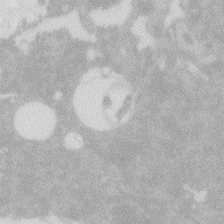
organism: Zebrafish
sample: Macrophage